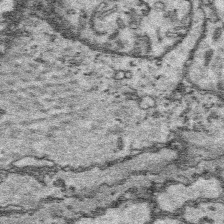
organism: Platynereis dumerilii